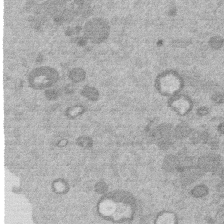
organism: Mouse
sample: Dividing mouse embryo 1 cell stage